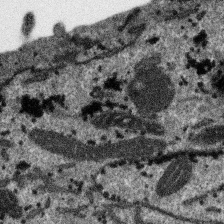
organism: Human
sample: Lung epithelial cells infected with SARS-CoV-2